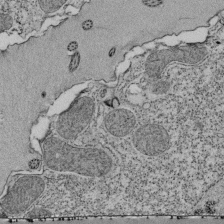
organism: Tetrahymena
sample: Cilia in tetrahymena